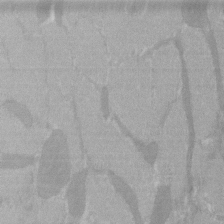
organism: C57BL Mouse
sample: Tibialis anterior muscle cell